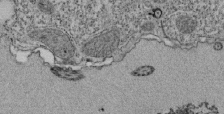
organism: Tetrahymena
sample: Cilia in tetrahymena